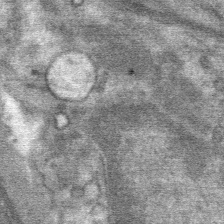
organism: Mouse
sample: Mouse Salivary gland